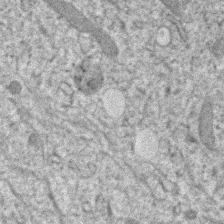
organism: Human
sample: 1205lu cells